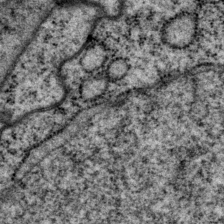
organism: P. pacificus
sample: Pharynx